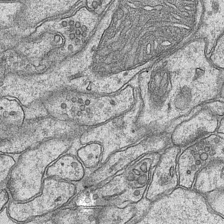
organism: Mouse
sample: CA1 Hippocampus